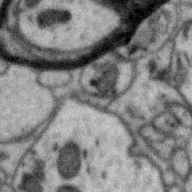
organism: Zebra finch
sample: Brain